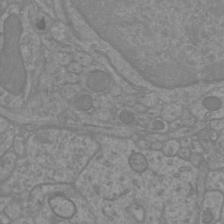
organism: Mouse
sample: Cortical neurons